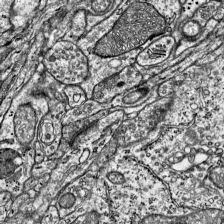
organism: Mouse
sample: Visual Cortex